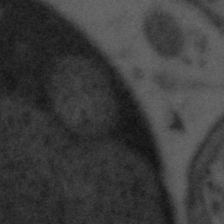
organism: Tuwongella immobilis